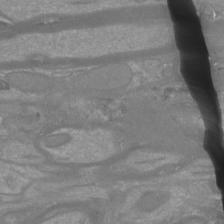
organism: Mouse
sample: Cortical neurons